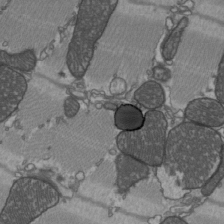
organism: C57BL Mouse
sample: Heart